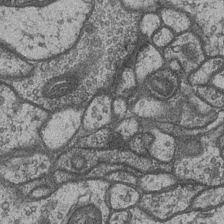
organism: Drosophila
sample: Optic medulla